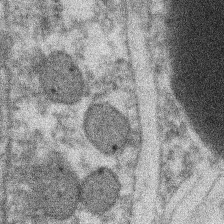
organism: Xenopus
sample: Cilia; centrioles in frog embryo cells